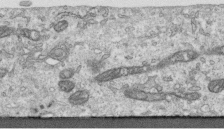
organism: Human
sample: Centriole in RPE cells